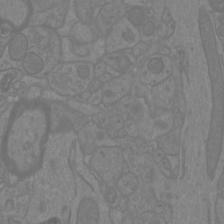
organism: Mouse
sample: Cortical neurons